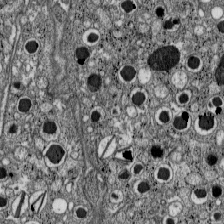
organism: C57BL Mouse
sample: Pancreatic islet